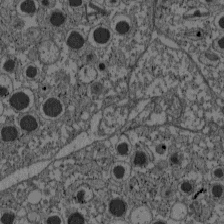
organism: C57BL Mouse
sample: Pancreatic islet